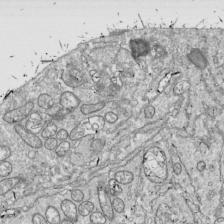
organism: Drosophila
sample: Cell division; meiosis; drosophila spermatocytes